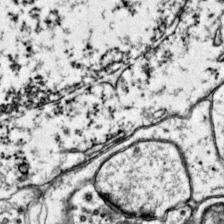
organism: Mouse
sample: Primary visual cortex